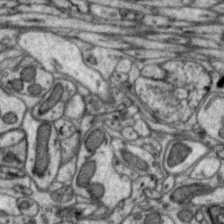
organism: Zebra finch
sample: Brain